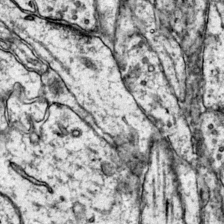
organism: Mouse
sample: Primary visual cortex